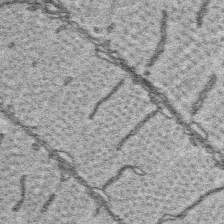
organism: Platynereis dumerilii